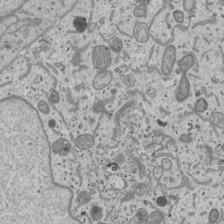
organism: Human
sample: Mitochondria in U2OS cells